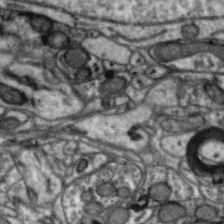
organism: Zebra finch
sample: Brain